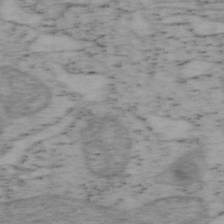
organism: Mouse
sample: OT-I killer T cells with ID8 ovarian cancer cells